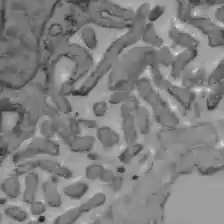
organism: C57BL Mouse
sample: Liver